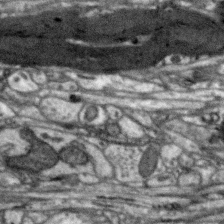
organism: Zebra finch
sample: Brain